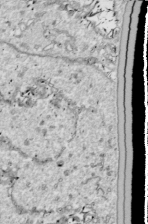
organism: Drosophila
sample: Cell division; meiosis; drosophila spermatocytes